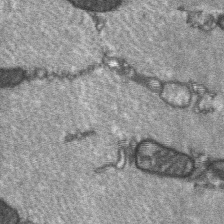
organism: C57BL Mouse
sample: Soleus